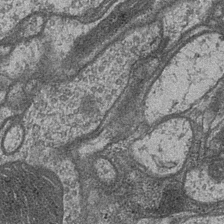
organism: Drosophila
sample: Optic medulla